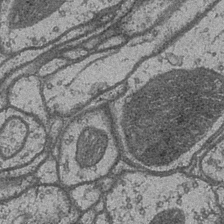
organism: Drosophila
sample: Optic medulla